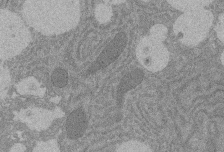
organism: Rat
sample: Salivary granule